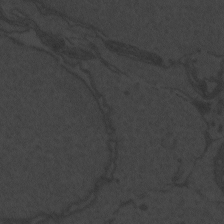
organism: Zebrafish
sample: Macrophage infected with Toxoplasma gondii